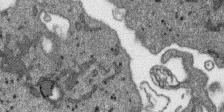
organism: Human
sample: Lung epithelial cells infected with SARS-CoV-2